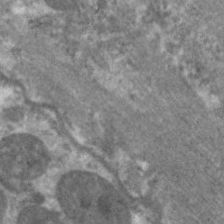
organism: C. elegans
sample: Pharynx